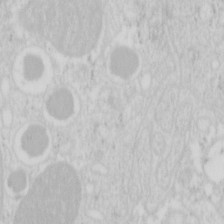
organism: Mouse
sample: Pancreas